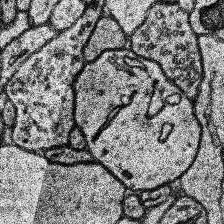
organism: Human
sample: Temporal Lobe